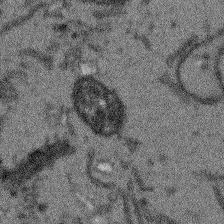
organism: Arabidopsis thaliana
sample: Root tip